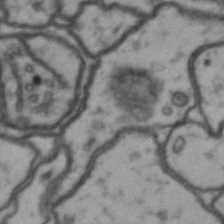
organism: Drosophila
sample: Brain